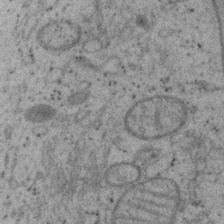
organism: Human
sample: HeLa cells